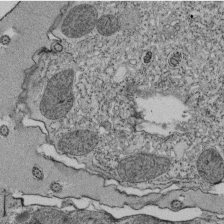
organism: Tetrahymena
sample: Cilia in tetrahymena